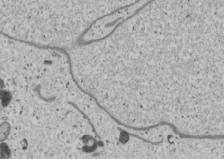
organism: Human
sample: Mitochondria in U2OS cells